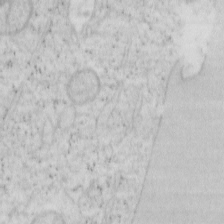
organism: Human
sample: HeLa cells